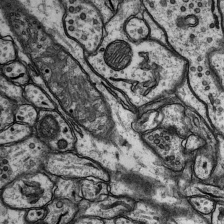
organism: Rat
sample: Hippocampus